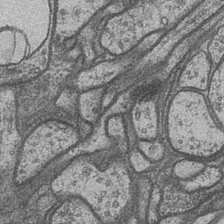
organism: Drosophila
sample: Optic medulla